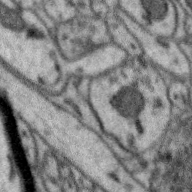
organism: Zebra finch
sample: Brain